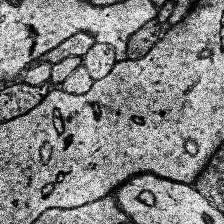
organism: Human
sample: Temporal Lobe